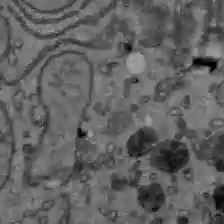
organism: C57BL Mouse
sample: Liver